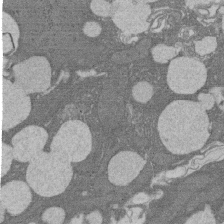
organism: Rat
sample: Salivary granule